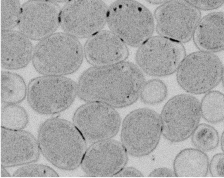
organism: E. coli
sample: Bacterial nucleoid